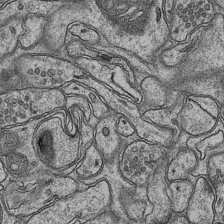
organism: Mouse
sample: CA1 Hippocampus